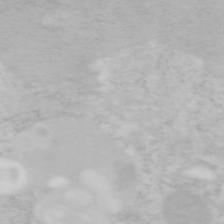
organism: Mouse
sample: OT-I killer T cells with ID8 ovarian cancer cells